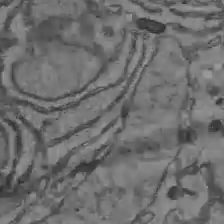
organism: C57BL Mouse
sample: Liver